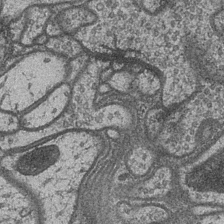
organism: Drosophila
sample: Optic medulla